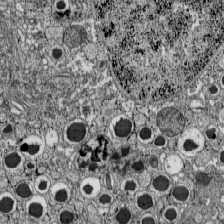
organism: C57BL Mouse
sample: Pancreatic islet